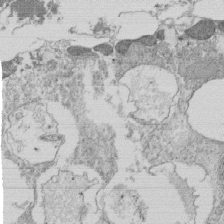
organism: Tetrahymena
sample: Cilia in tetrahymena